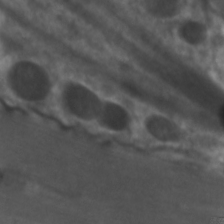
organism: C. elegans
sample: Pharynx